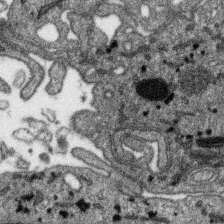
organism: Human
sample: Lung epithelial cells infected with SARS-CoV-2